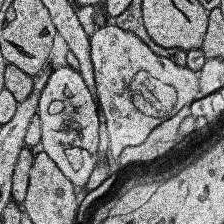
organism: Human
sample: Temporal Lobe